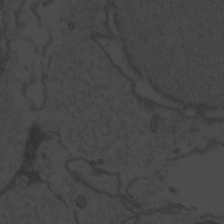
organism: Zebrafish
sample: Macrophage infected with Toxoplasma gondii